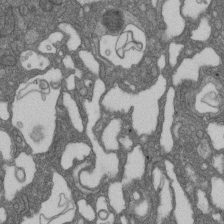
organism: Drosophila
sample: Nephrocyte